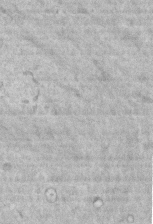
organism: Mouse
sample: Centriole in ependymal cells